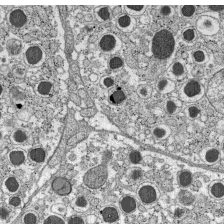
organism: C57BL Mouse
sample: Pancreatic islet